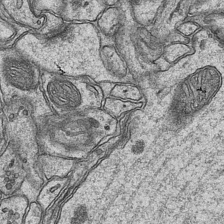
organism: Mouse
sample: CA1 Hippocampus